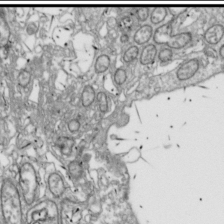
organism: Drosophila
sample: Cell division; meiosis; drosophila spermatocytes